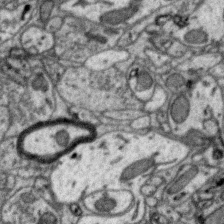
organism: Zebra finch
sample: Brain